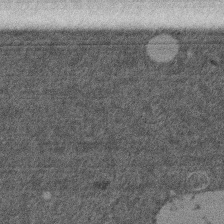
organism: Mouse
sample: Dividing mouse embryo 1 cell stage